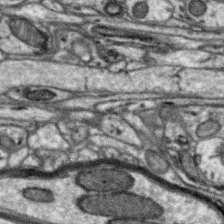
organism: Zebra finch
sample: Brain